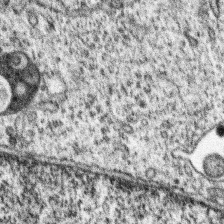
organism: Human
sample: HeLa cells